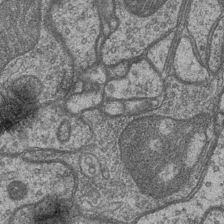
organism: Drosophila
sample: Optic medulla